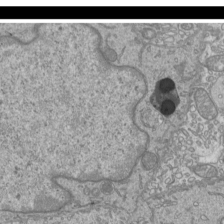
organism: Mouse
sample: Cilia; mouse epididymis